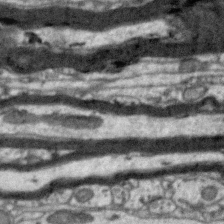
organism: Zebra finch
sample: Brain